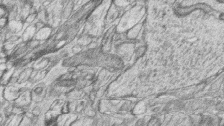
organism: Zebrafish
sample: synaptic ribbons in rod cells and cone cells